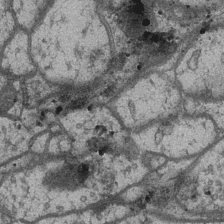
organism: Drosophila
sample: Optic medulla